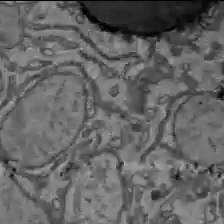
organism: C57BL Mouse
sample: Liver